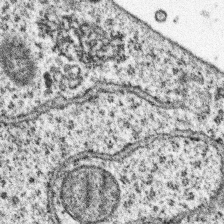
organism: Human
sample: HeLa cells